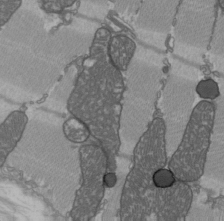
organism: C57BL Mouse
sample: Heart